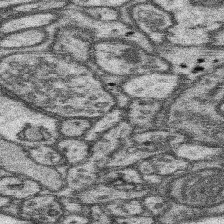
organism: Mouse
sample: Somatosensory cortex neuropil